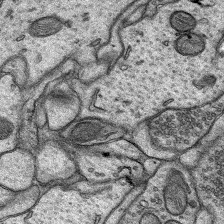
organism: Rat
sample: Hippocampus